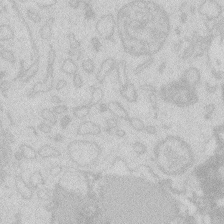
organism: Zebrafish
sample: Macrophage